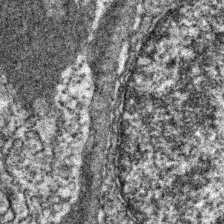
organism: Zebrafish